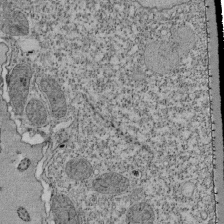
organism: Tetrahymena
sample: Cilia in tetrahymena